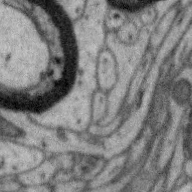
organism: Zebra finch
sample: Brain